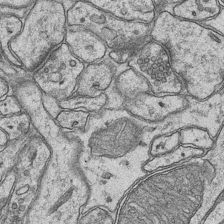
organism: Mouse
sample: CA1 Hippocampus